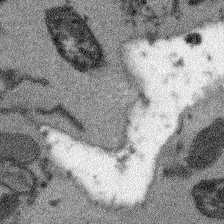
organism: Arabidopsis thaliana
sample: Root tip